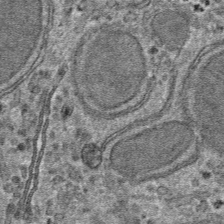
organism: Mouse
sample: Mouse hepatocytes